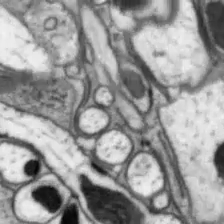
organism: Drosophila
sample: Optic lobe